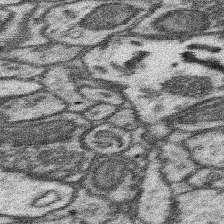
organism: Mouse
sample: Somatosensory cortex neuropil